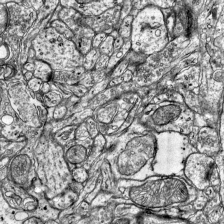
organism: Mouse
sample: Visual Cortex